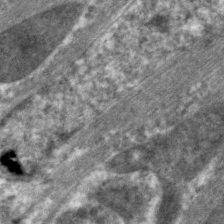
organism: C. elegans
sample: Pharynx